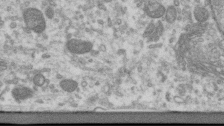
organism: Human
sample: Centriole in RPE cells